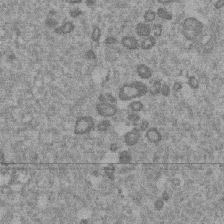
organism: Mouse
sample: Dividing mouse embryo 1 cell stage